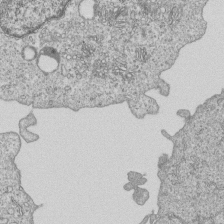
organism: Human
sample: MDA-MB-231 cells